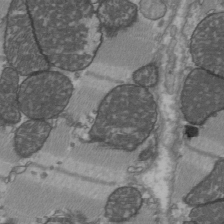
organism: C57BL Mouse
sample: Heart